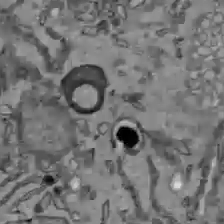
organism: C57BL Mouse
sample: Liver